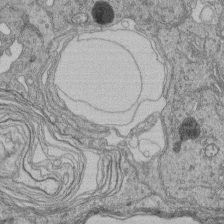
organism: Human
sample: Retinal organoid Rod and Cone cells